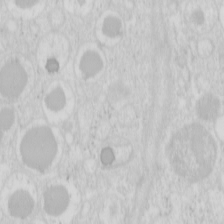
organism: Mouse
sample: Pancreas